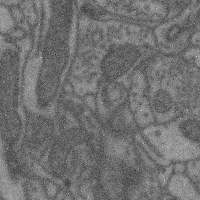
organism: Mouse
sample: Cerebral cortex